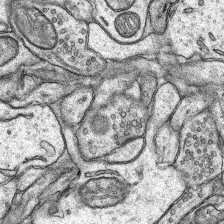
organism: Rat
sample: Hippocampus